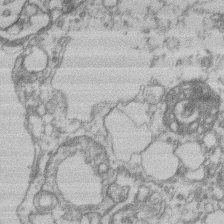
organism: Mouse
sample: T cell stromal cell synapse